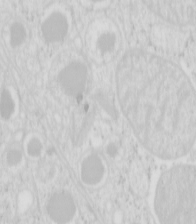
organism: Mouse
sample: Pancreas